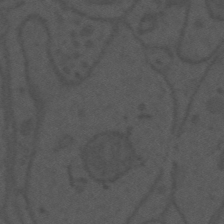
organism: Mouse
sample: Suprachiasmatic nucleus